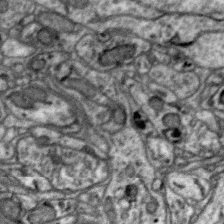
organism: Zebra finch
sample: Brain